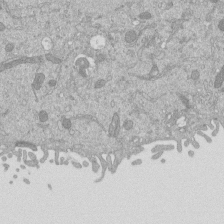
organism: Mouse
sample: ED-1 cell nuclei; centrioles